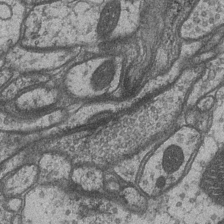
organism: Drosophila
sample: Optic medulla